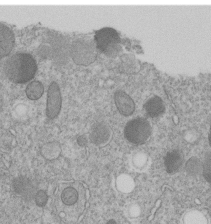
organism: C. elegans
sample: C. elegans embryo early stage